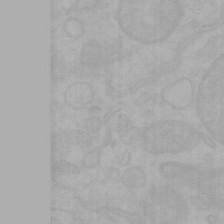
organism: Mouse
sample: Choroid plexus